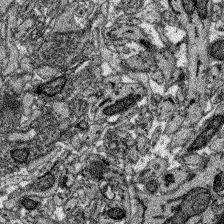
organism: Zebrafish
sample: Larval olfactory bulb